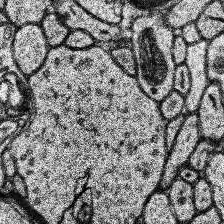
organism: Human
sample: Temporal Lobe